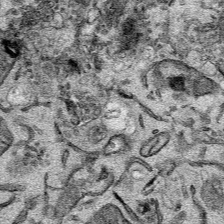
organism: Mouse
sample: Cancer cell death in ED-1 cells